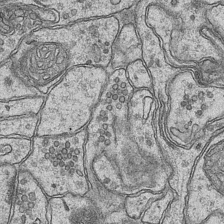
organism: Mouse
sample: CA1 Hippocampus